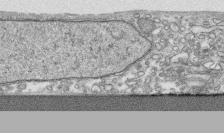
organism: Human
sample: CRL-1474